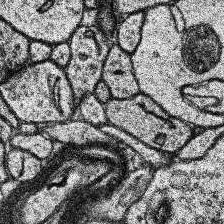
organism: Human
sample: Temporal Lobe